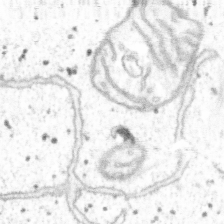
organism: Human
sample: HeLa cells